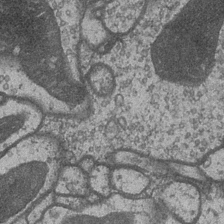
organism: Drosophila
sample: Optic medulla